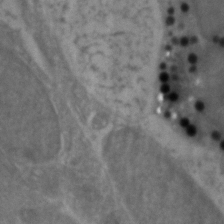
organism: Zebrafish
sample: Zebrafish embryo